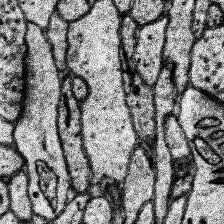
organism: Human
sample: Temporal Lobe